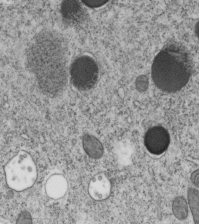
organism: C. elegans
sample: C. elegans embryo early stage